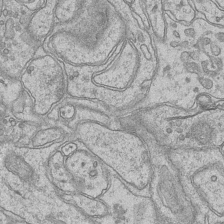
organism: Mouse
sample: CA1 Hippocampus